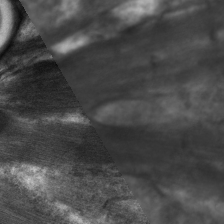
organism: C. elegans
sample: Pharynx